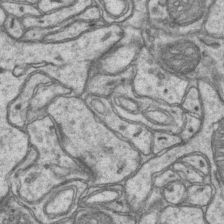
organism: Mouse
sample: CA1 Hippocampus